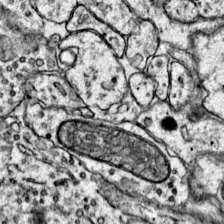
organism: Mouse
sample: Primary visual cortex